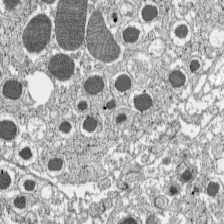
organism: C57BL Mouse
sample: Pancreatic islet